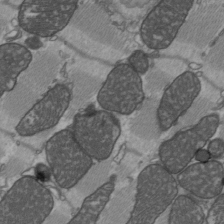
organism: C57BL Mouse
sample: Heart